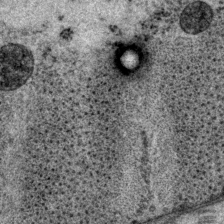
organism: P. pacificus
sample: Pharynx